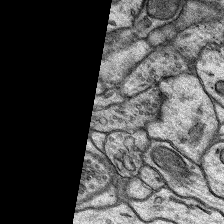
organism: Rat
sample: Hippocampus